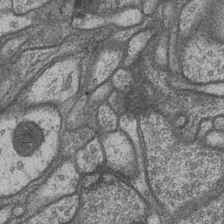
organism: Drosophila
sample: Optic medulla